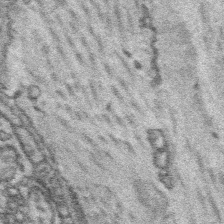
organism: Platynereis dumerilii